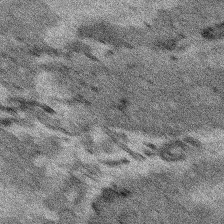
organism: Human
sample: Mitochondria in HCT116 cells